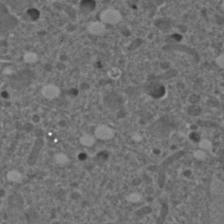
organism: C. elegans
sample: C. elegans embryo